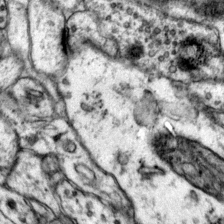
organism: Mouse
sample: Primary visual cortex